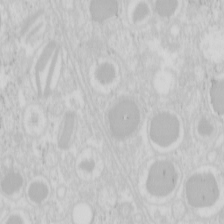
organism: Mouse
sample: Pancreas